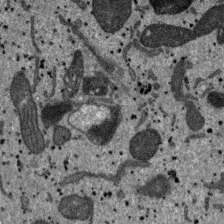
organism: Human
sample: Lung epithelial cells, uninfected (mock) control